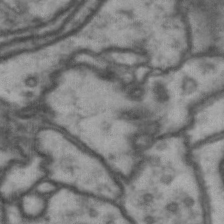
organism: Drosophila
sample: Brain